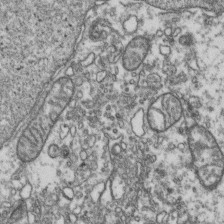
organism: Human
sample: Activated Jurkat CD4+ T cells